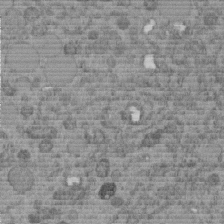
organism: C. elegans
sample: C. elegans embryo early stage